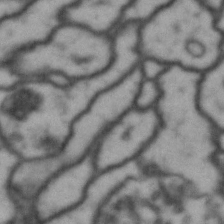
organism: Drosophila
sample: Brain